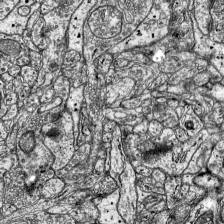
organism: Mouse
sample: Visual Cortex